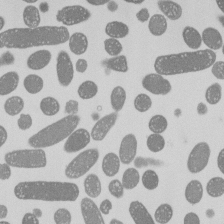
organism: E. coli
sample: Bacterial nucleoid